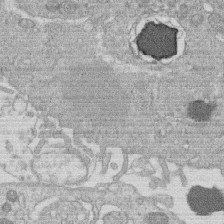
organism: Human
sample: Macrophage cells